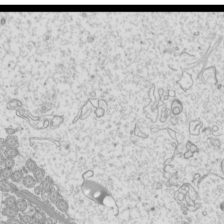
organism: Mouse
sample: Cilia; mouse epididymis